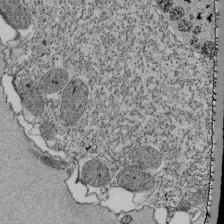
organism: Tetrahymena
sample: Cilia in tetrahymena